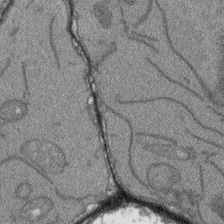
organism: Arabidopsis thaliana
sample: Root tip